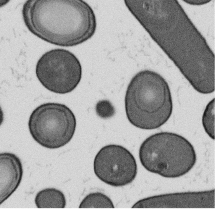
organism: B. subtilis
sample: Bacterial spore